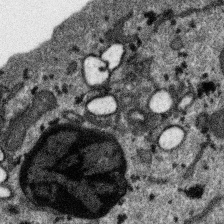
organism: Human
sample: Lung epithelial cells infected with SARS-CoV-2